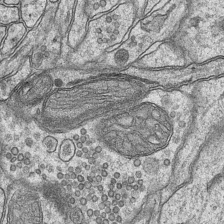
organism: Mouse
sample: CA1 Hippocampus